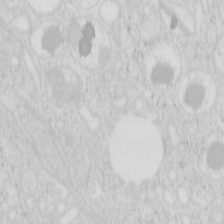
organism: Mouse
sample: Pancreas